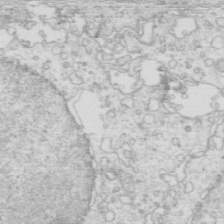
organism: Mouse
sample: Multiciliated cells